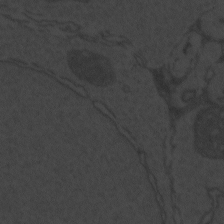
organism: Zebrafish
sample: Macrophage infected with Toxoplasma gondii